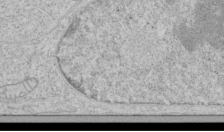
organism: Human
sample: Mitochondria in HCT116 cells